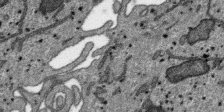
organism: Human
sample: Lung epithelial cells, uninfected (mock) control